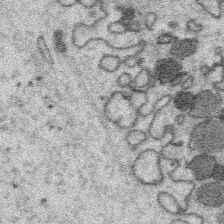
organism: Platynereis dumerilii